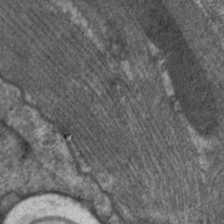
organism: C. elegans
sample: Pharynx